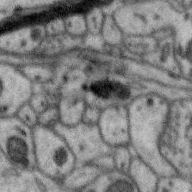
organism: Zebra finch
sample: Brain